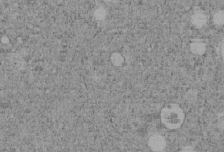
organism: C. elegans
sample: C. elegans embryo early stage